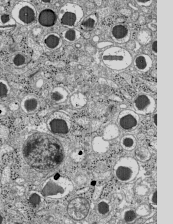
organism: C57BL Mouse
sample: Pancreatic islet